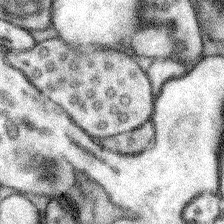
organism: Mouse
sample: Somatosensory cortex neuropil